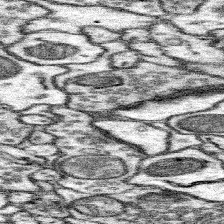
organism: Mouse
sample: Somatosensory cortex neuropil